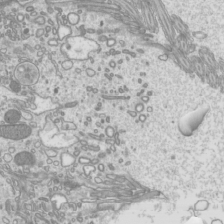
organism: Mouse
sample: Cilia; mouse epididymis